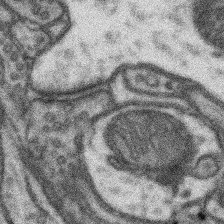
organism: Mouse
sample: Somatosensory cortex neuropil